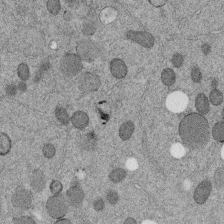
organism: C. elegans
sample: C. elegans embryo early stage